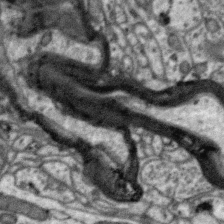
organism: Zebra finch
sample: Brain